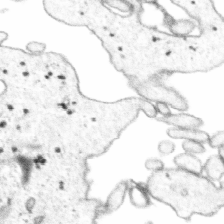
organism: Human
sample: HeLa cells